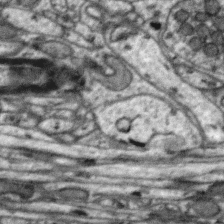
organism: Zebra finch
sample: Brain